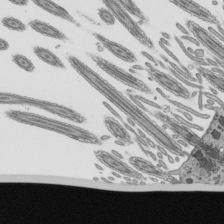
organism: Mouse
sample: Mouse epididymis efferent ductule cilia